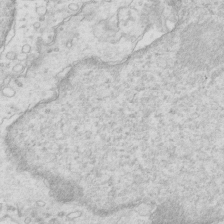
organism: Mouse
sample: Multiciliated cells